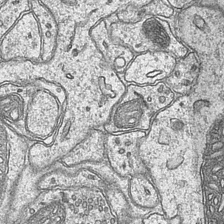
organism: Mouse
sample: CA1 Hippocampus